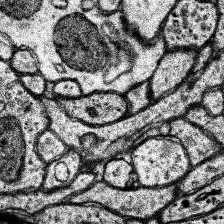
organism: Human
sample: Temporal Lobe